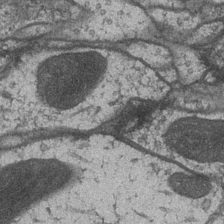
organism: Drosophila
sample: Optic medulla